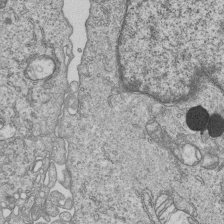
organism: Human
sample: MDA-MB-231 cells